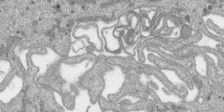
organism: Human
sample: Lung epithelial cells infected with SARS-CoV-2